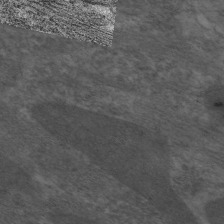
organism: C. elegans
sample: Pharynx